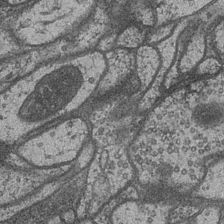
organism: Drosophila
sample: Optic medulla